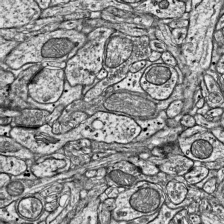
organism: Mouse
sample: Visual Cortex